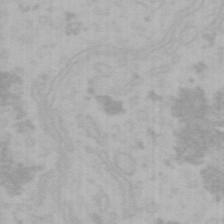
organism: Mouse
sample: Choroid plexus